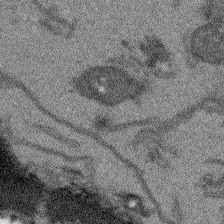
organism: Arabidopsis thaliana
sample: Root tip